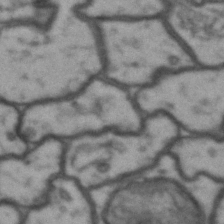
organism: Drosophila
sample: Brain